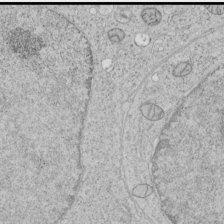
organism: Human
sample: Mitochondria in HCT116 cells